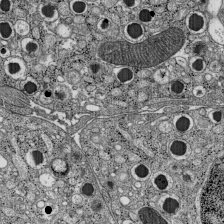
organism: C57BL Mouse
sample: Pancreatic islet